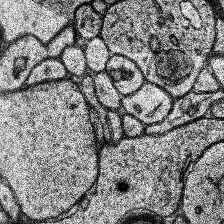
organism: Human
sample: Temporal Lobe